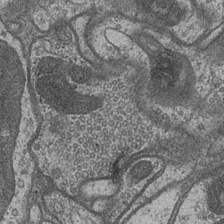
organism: Drosophila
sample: Optic medulla